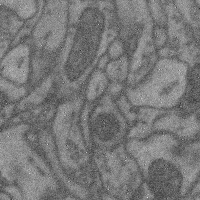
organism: Mouse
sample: Cerebral cortex